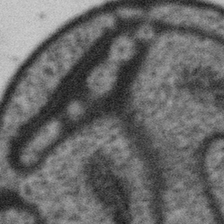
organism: Gemmata obscuriglobus